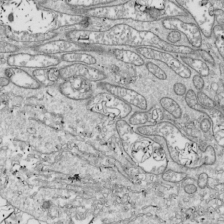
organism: Drosophila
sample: Cell division; meiosis; drosophila spermatocytes